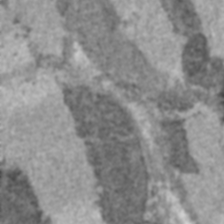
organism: C57BL Mouse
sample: Heart